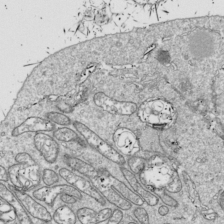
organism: Drosophila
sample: Cell division; meiosis; drosophila spermatocytes